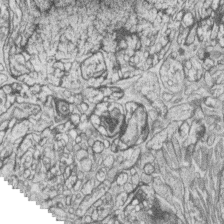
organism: Zebrafish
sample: synaptic ribbons in rod cells and cone cells